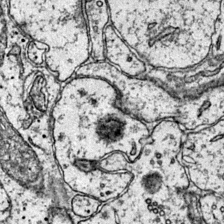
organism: Mouse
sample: Primary visual cortex